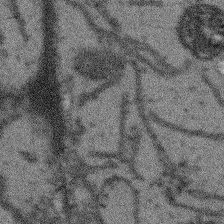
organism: Arabidopsis thaliana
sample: Root tip